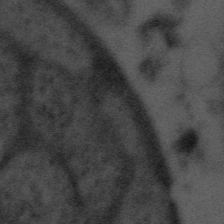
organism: Tuwongella immobilis